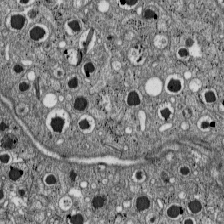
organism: C57BL Mouse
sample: Pancreatic islet